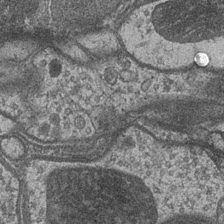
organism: Drosophila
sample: Optic medulla